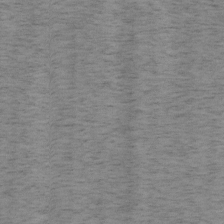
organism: Mouse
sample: OT-I killer T cells with ID8 ovarian cancer cells